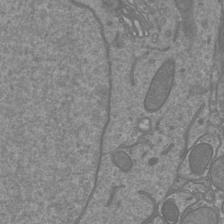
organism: Mouse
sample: Cortical neurons